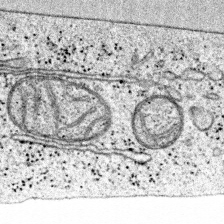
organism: Human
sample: HeLa cells